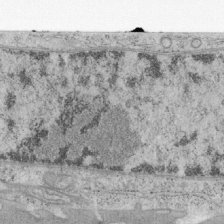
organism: Human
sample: HeLa cells